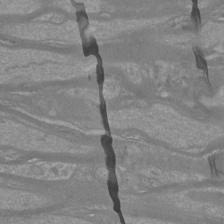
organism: Mouse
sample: Cortical neurons